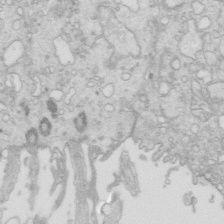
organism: Mouse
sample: Multiciliated cells